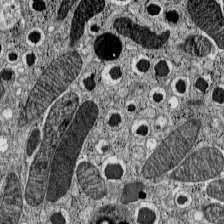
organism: C57BL Mouse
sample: Pancreatic islet